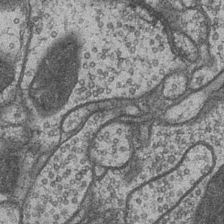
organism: Drosophila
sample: Optic medulla